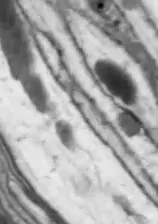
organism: Drosophila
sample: Optic lobe